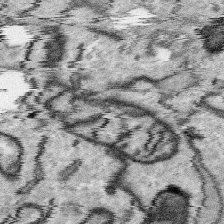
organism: Human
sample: HeLa cells